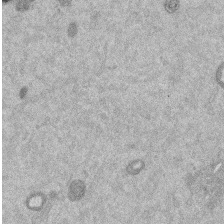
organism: Mouse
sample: Dividing mouse embryo 1 cell stage